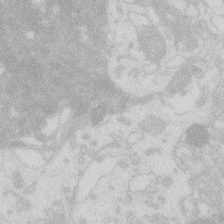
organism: Zebrafish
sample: Macrophage